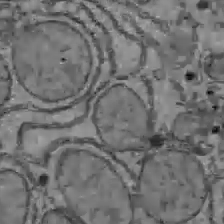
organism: C57BL Mouse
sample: Liver